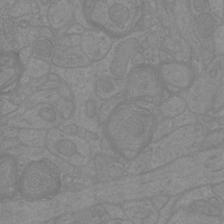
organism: Mouse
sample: Cortical neurons